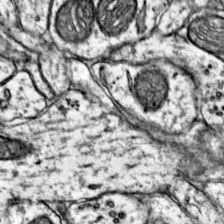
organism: Mouse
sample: Primary visual cortex